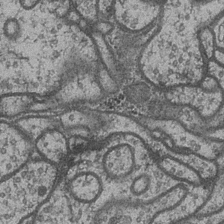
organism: Drosophila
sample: Optic medulla